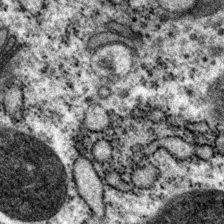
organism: P. pacificus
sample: Pharynx